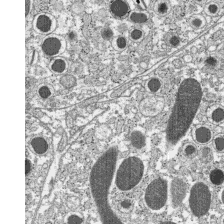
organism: C57BL Mouse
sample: Pancreatic islet